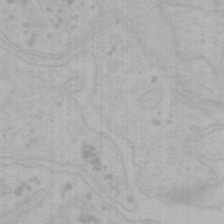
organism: Mouse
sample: Choroid plexus